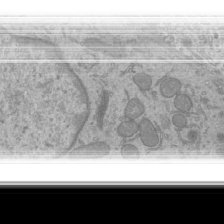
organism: Mouse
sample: Cilia; mouse epididymis